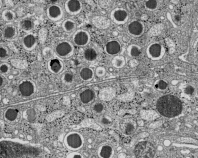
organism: C57BL Mouse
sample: Pancreatic islet